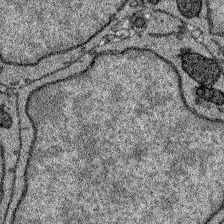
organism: Zebrafish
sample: Larval olfactory bulb